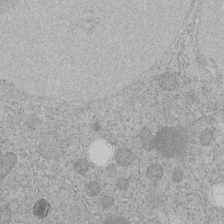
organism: C. elegans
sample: C. elegans embryo early stage